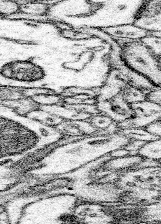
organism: Mouse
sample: Somatosensory cortex neuropil